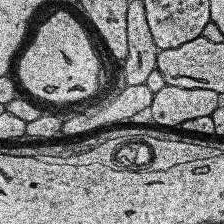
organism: Human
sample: Temporal Lobe